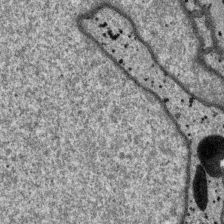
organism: Human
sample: Lung epithelial cells, uninfected (mock) control